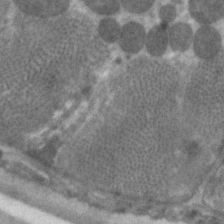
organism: C. elegans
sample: Pharynx